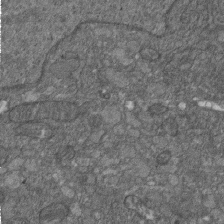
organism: Drosophila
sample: Nephrocyte